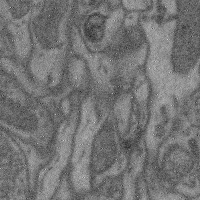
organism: Mouse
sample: Cerebral cortex